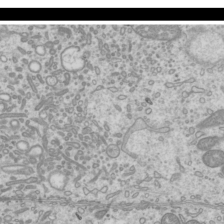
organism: Mouse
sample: Cilia; mouse epididymis